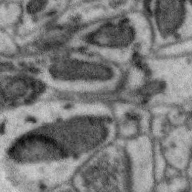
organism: Zebra finch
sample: Brain